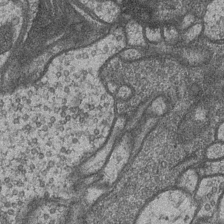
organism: Drosophila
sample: Optic medulla